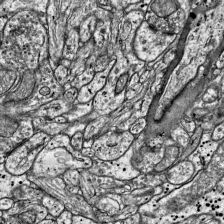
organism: Mouse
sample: Visual Cortex